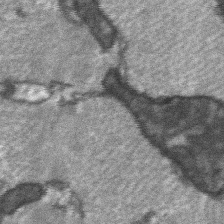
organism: C57BL Mouse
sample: Soleus